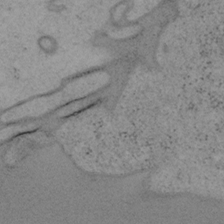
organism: Mouse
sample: OT-I killer T cells with ID8 ovarian cancer cells